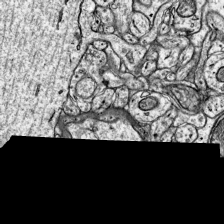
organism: Mouse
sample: Visual Cortex